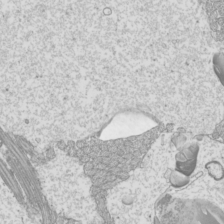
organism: Mouse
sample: Cilia; mouse epididymis